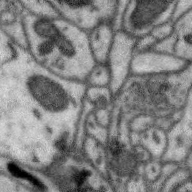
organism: Zebra finch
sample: Brain